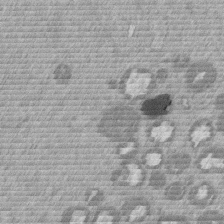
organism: Mouse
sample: Dividing mouse embryo 1 cell stage